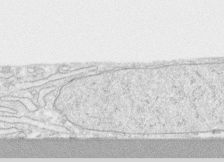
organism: Human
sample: CRL-1474